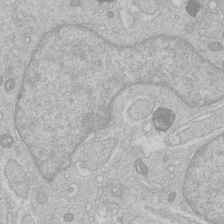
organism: Human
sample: Macrophage cells